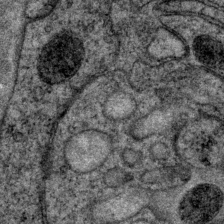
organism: P. pacificus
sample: Pharynx